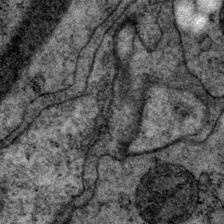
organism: P. pacificus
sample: Pharynx